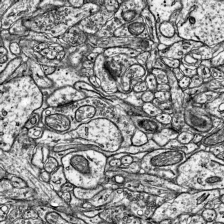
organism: Mouse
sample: Visual Cortex